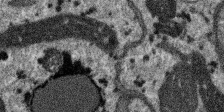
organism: Human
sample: Lung epithelial cells infected with SARS-CoV-2